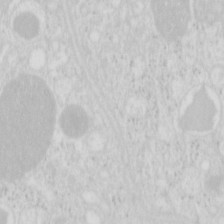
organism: Mouse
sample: Pancreas